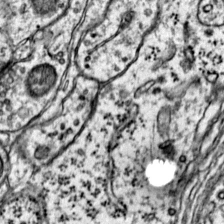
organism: Mouse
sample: Primary visual cortex